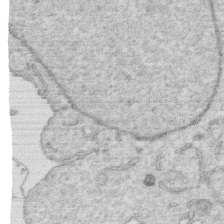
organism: Human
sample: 1205lu cells